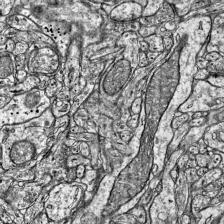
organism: Mouse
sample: Visual Cortex